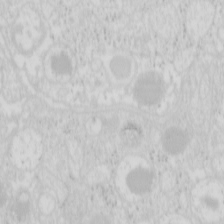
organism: Mouse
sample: Pancreas